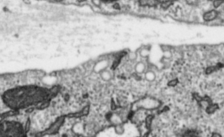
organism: Toxoplasma gondii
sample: Parasites in a vacuole inside a host cell